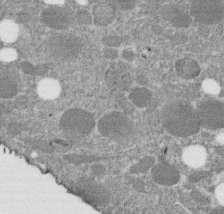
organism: C. elegans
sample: C. elegans embryo early stage